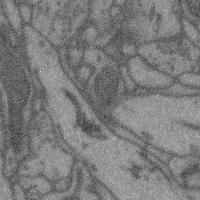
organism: Mouse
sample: Cerebral cortex